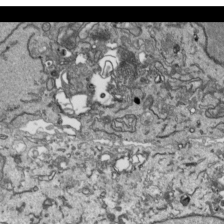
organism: Human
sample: Mitochondria in HCT116 cells